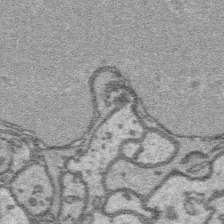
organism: Platynereis dumerilii